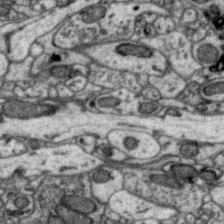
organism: Zebra finch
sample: Brain